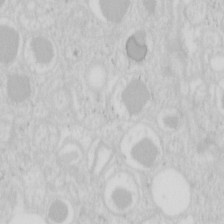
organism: Mouse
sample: Pancreas